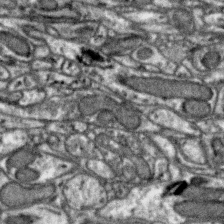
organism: Zebra finch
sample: Brain